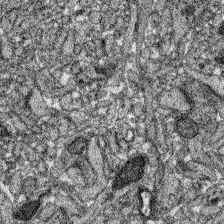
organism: Zebrafish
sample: Larval olfactory bulb